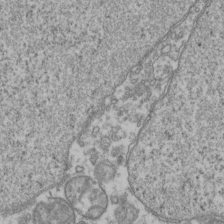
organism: Human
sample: Activated Jurkat CD4+ T cells